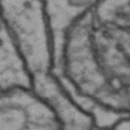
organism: Drosophila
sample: Brain